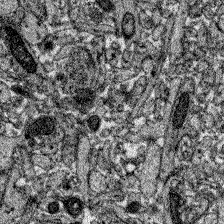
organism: Zebrafish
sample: Larval olfactory bulb